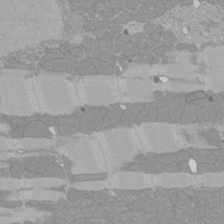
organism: Rat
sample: Left ventricle